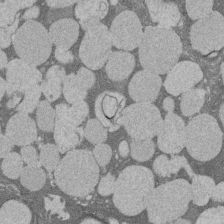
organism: Rat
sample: Salivary granule